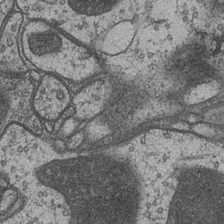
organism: Drosophila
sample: Optic medulla